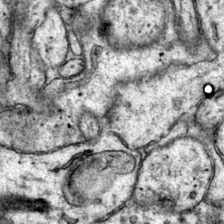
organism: Mouse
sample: Primary visual cortex